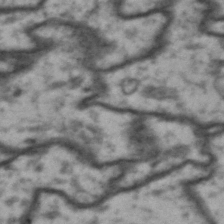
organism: Drosophila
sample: Brain